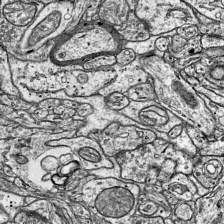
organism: Mouse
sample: Visual Cortex